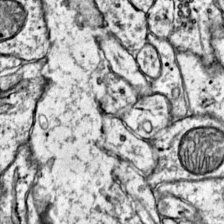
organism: Mouse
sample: Primary visual cortex